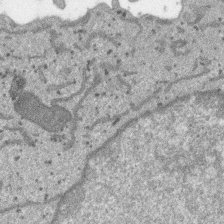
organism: Human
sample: Lung epithelial cells infected with SARS-CoV-2